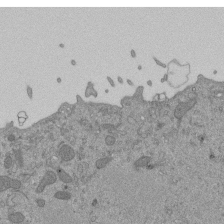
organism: Mouse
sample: ED-1 cell nuclei; centrioles